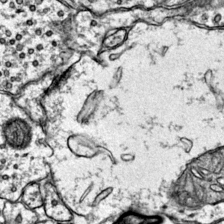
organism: Mouse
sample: Primary visual cortex